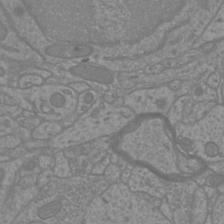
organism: Mouse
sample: Cortical neurons